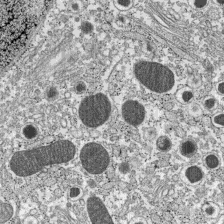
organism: C57BL Mouse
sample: Pancreatic islet